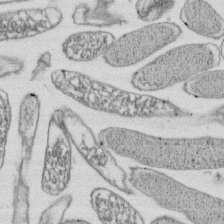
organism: E. coli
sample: Bacterial nucleoid